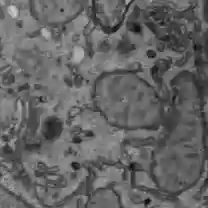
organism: C57BL Mouse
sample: Liver